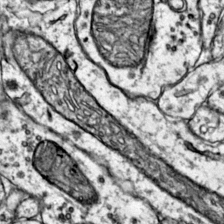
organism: Mouse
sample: Primary visual cortex